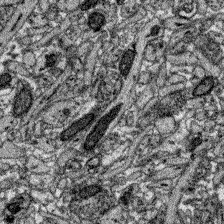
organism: Zebrafish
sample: Larval olfactory bulb